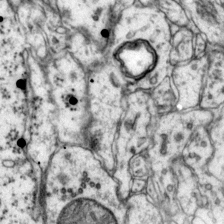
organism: Mouse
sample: Primary visual cortex